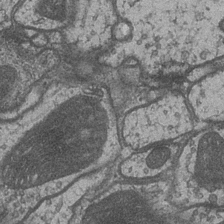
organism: Drosophila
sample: Optic medulla